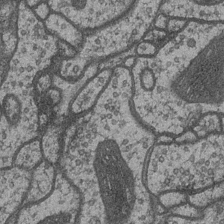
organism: Drosophila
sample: Optic medulla